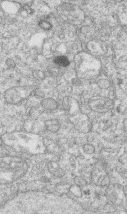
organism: Human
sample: HeLa cell HIV synapse